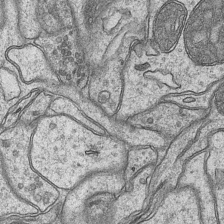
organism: Mouse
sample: CA1 Hippocampus